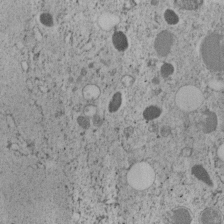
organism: C. elegans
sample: C. elegans embryo early stage